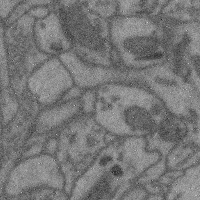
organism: Mouse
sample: Cerebral cortex